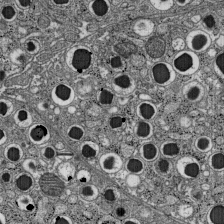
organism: C57BL Mouse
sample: Pancreatic islet